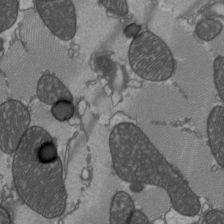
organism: C57BL Mouse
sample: Heart